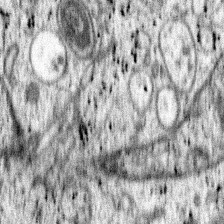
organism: Human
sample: HeLa cells